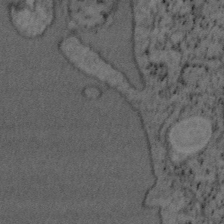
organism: Human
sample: HeLa cells